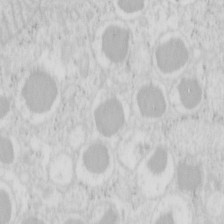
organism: Mouse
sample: Pancreas